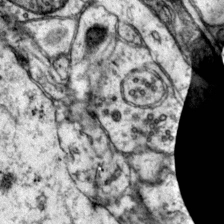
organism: Mouse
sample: Primary visual cortex